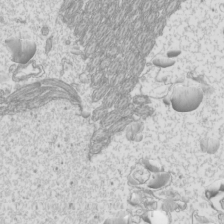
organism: Mouse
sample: Cilia; mouse epididymis